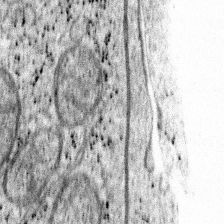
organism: Human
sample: HeLa cells